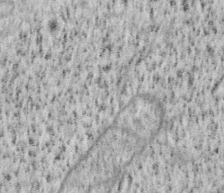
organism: Mouse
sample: OT-I killer T cells with ID8 ovarian cancer cells